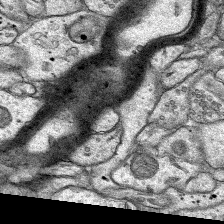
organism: Rat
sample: Hippocampus